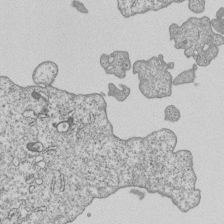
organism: Human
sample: MDA-MB-231 cells